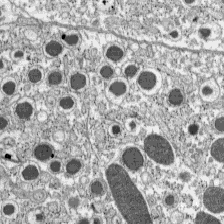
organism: C57BL Mouse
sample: Pancreatic islet